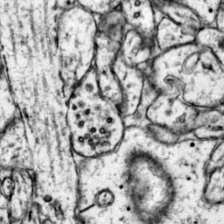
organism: Mouse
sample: Primary visual cortex